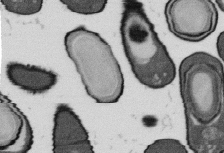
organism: B. subtilis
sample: Bacterial spore